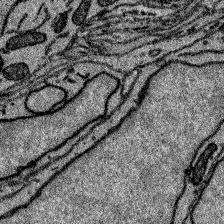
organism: Zebrafish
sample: Larval olfactory bulb